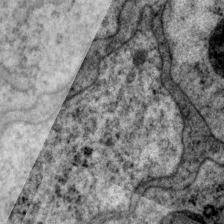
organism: P. pacificus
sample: Pharynx